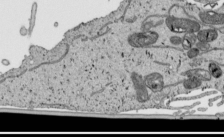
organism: Human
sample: Mitochondria in HCT116 cells